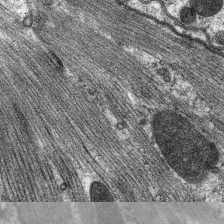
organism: C. elegans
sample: Pharynx